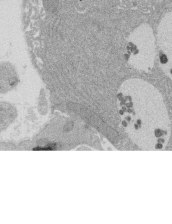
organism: Rat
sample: Salivary granule